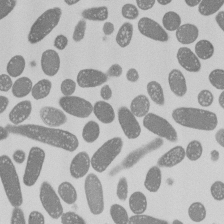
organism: E. coli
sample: Bacterial nucleoid